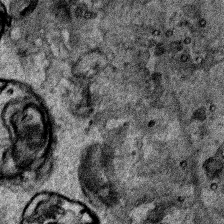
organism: Human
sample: Mitochondria in HCT116 cells